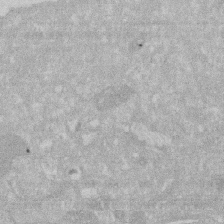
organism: Human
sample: HIV infected U937 cells